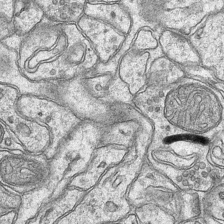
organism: Mouse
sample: CA1 Hippocampus